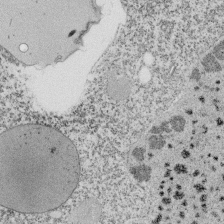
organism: Tetrahymena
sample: Cilia in tetrahymena